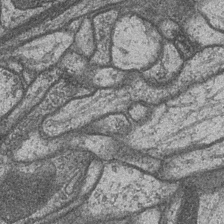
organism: Drosophila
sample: Optic medulla